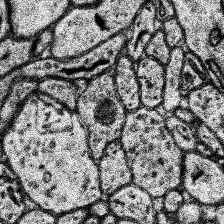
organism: Human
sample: Temporal Lobe